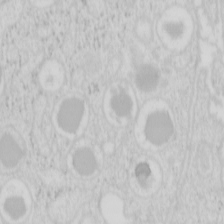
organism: Mouse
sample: Pancreas